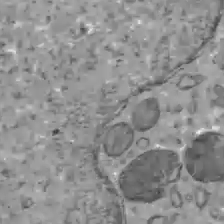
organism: C57BL Mouse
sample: Liver